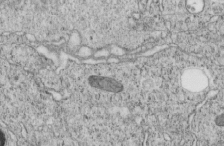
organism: C. elegans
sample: C. elegans embryo early stage